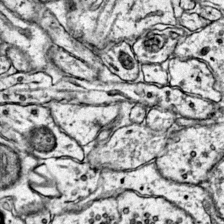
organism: Mouse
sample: Primary visual cortex